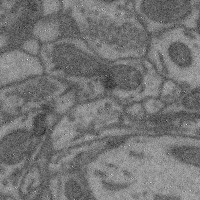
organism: Mouse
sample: Cerebral cortex